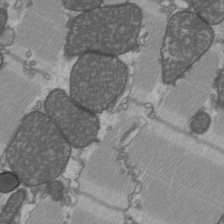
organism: C57BL Mouse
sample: Heart